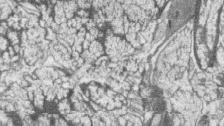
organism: Zebrafish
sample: synaptic ribbons in rod cells and cone cells